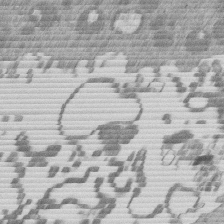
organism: Mouse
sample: Dividing mouse embryo 1 cell stage